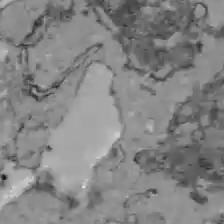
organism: C57BL Mouse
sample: Liver